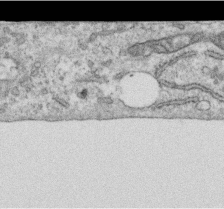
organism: Human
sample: Centriole in RPE cells